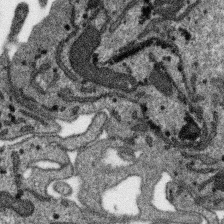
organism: Human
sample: Lung epithelial cells infected with SARS-CoV-2